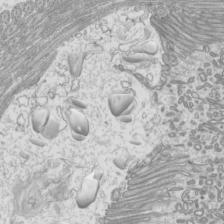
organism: Mouse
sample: Cilia; mouse epididymis